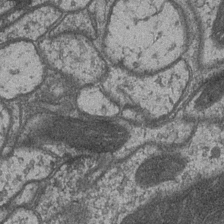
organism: Drosophila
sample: Optic medulla